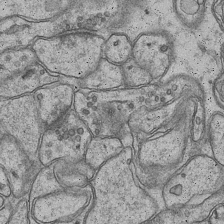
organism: Mouse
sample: CA1 Hippocampus